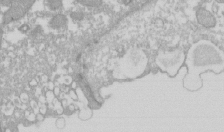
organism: Xenopus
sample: Cilia; centrioles in frog embryo cells